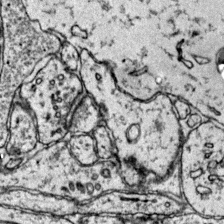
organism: Mouse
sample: Primary visual cortex